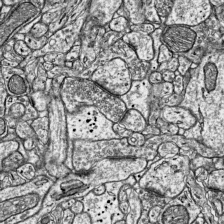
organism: Mouse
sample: Visual Cortex